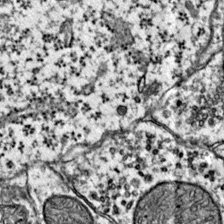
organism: Mouse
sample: Primary visual cortex